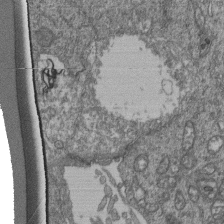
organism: Human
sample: Retinal organoid Rod and Cone cells